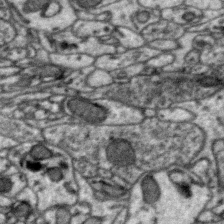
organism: Zebra finch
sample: Brain